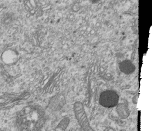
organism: Human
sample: MDA-MB-231 cells